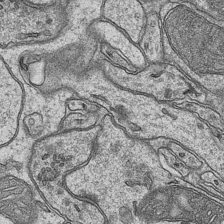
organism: Mouse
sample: CA1 Hippocampus